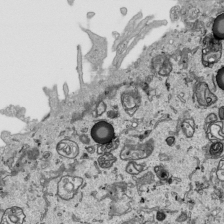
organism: Human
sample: Mitochondria in HCT116 cells